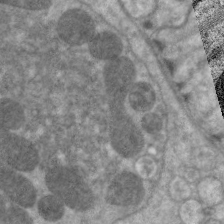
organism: C. elegans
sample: Pharynx